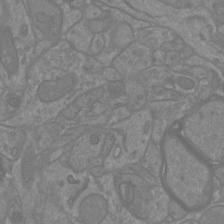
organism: Mouse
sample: Cortical neurons